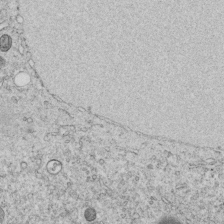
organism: C. elegans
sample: C. elegans embryo early stage